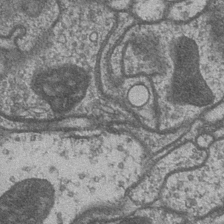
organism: Drosophila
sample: Optic medulla